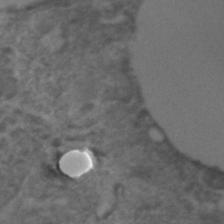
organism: C. elegans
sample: C. elegans embryo